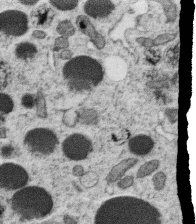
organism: C. elegans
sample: C. elegans oocyte; sperm cells